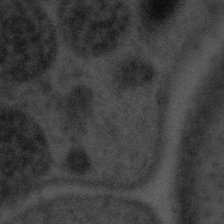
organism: Tuwongella immobilis